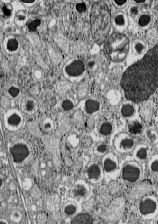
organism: C57BL Mouse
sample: Pancreatic islet